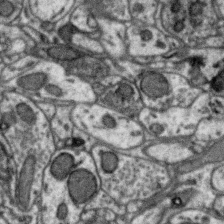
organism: Zebra finch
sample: Brain